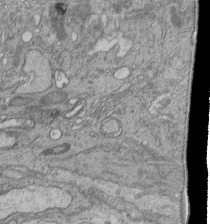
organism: Human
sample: Retinal organoid Rod and Cone cells